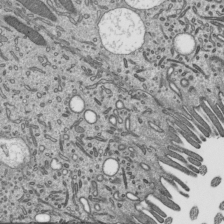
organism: Mouse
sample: Mouse epididymis efferent ductule cilia